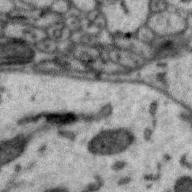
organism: Zebra finch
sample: Brain